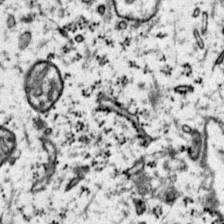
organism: Mouse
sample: Primary visual cortex